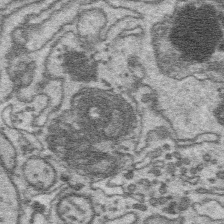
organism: Platynereis dumerilii